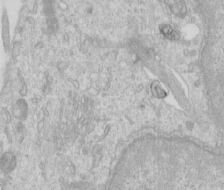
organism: Human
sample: Centriole in RPE cells